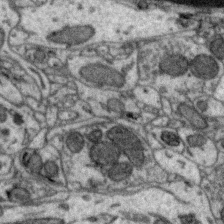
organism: Zebra finch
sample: Brain